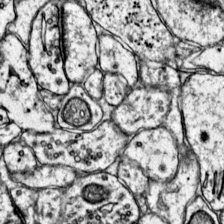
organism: Mouse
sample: Primary visual cortex